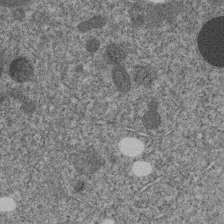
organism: C. elegans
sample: C. elegans embryo early stage